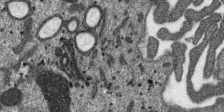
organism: Human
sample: Lung epithelial cells infected with SARS-CoV-2